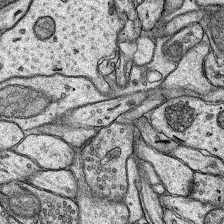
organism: Rat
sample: Hippocampus